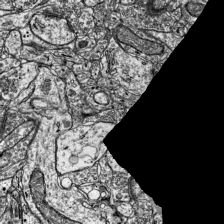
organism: Mouse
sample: Visual Cortex